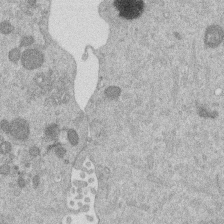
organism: Mouse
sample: Dividing mouse embryo 1 cell stage